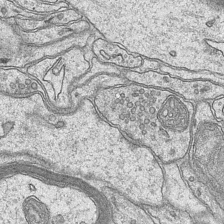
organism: Mouse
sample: CA1 Hippocampus